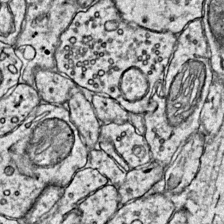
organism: Mouse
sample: Primary visual cortex